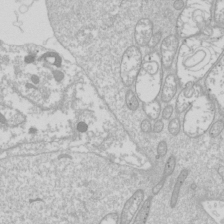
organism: Drosophila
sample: Cell division; meiosis; drosophila spermatocytes